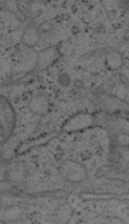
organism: Human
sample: HeLa cells